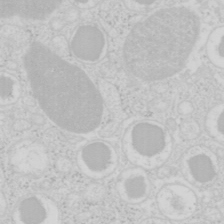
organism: Mouse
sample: Pancreas